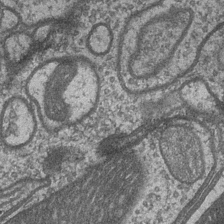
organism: Drosophila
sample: Optic medulla